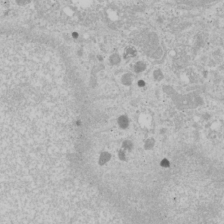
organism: Human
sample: Mitochondria in U2OS cells